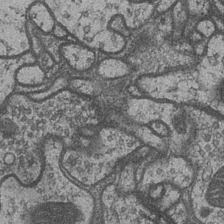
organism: Drosophila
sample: Optic medulla